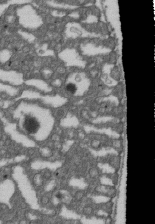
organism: Drosophila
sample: Nephrocyte